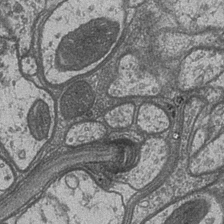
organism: Drosophila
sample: Optic medulla